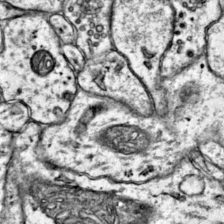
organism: Mouse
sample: Primary visual cortex